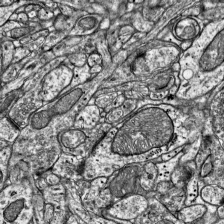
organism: Mouse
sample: Visual Cortex